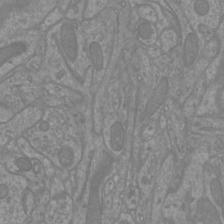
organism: Mouse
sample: Cortical neurons